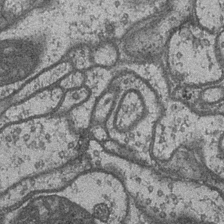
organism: Drosophila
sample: Optic medulla